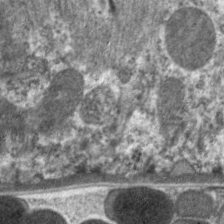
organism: C. elegans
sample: Pharynx